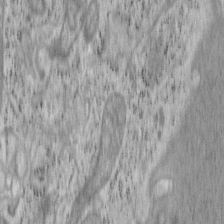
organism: Human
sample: HeLa cells